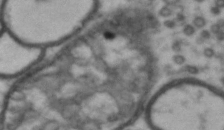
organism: Drosophila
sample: Brain